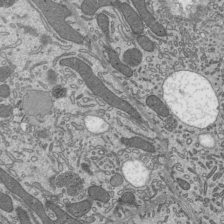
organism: Mouse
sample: Mouse epididymis efferent ductule cilia